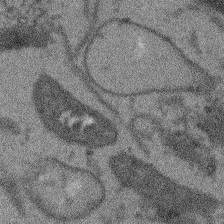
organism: Arabidopsis thaliana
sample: Root tip